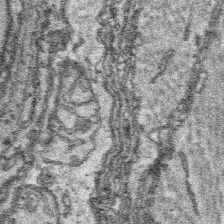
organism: Platynereis dumerilii